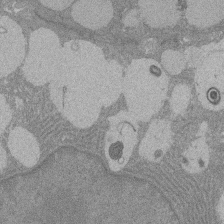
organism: Rat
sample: Salivary granule